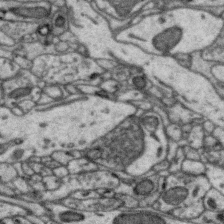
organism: Zebra finch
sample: Brain